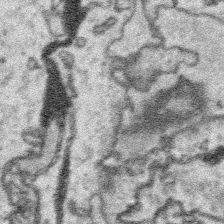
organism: Platynereis dumerilii